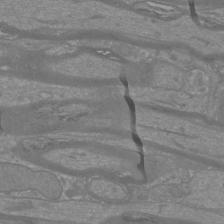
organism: Mouse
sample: Cortical neurons